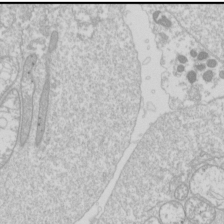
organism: Drosophila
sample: Cell division; meiosis; drosophila spermatocytes